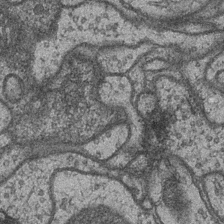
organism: Drosophila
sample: Optic medulla